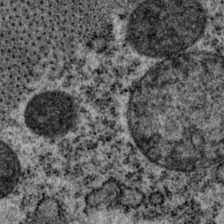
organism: P. pacificus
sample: Pharynx